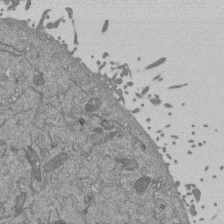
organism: Mouse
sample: ED-1 cell nuclei; centrioles